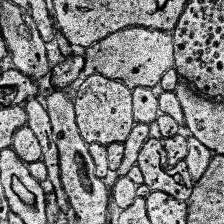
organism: Human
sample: Temporal Lobe